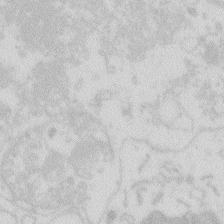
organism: Zebrafish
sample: Macrophage